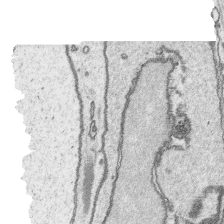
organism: Platynereis dumerilii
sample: Parapodia